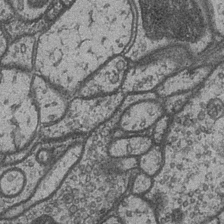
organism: Drosophila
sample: Optic medulla